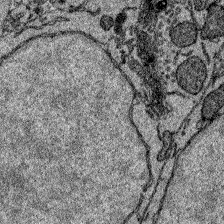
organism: Zebrafish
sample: Larval olfactory bulb